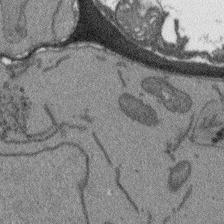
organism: Arabidopsis thaliana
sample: Root tip